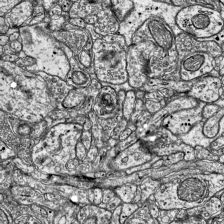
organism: Mouse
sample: Visual Cortex